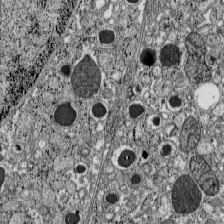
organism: C57BL Mouse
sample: Pancreatic islet